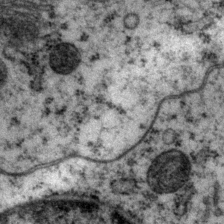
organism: P. pacificus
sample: Pharynx